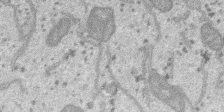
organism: Human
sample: Lung epithelial cells infected with SARS-CoV-2